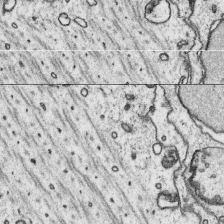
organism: Platynereis dumerilii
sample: Parapodia